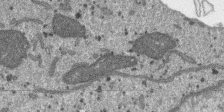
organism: Human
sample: Lung epithelial cells infected with SARS-CoV-2